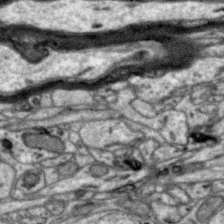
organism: Zebra finch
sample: Brain